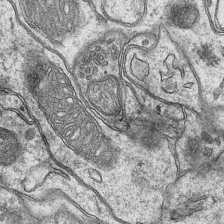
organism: Mouse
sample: CA1 Hippocampus